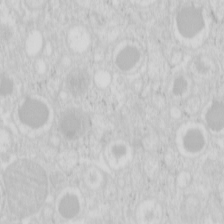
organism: Mouse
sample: Pancreas